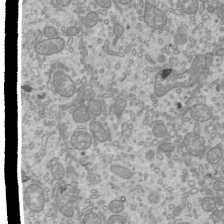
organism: Mouse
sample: Cilia; mouse epididymis